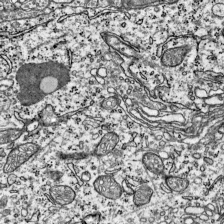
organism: Mouse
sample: Visual Cortex